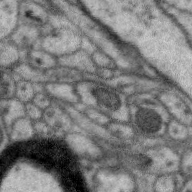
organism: Zebra finch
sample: Brain